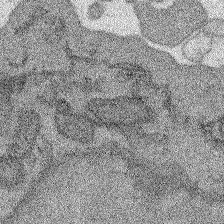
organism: Human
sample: HeLa cells